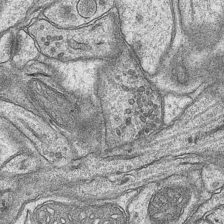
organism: Mouse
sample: CA1 Hippocampus